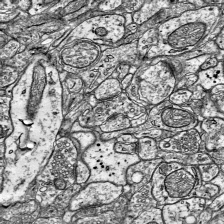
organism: Mouse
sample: Visual Cortex